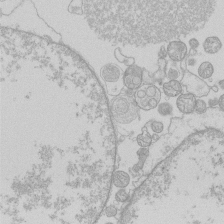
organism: Human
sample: Macrophage cells